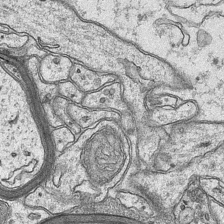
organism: Mouse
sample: CA1 Hippocampus